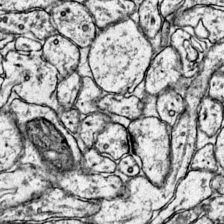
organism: Mouse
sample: Primary visual cortex